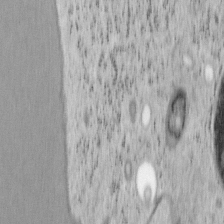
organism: Human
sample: HeLa cells